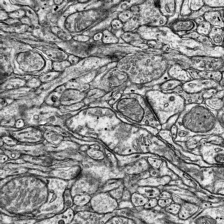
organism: Mouse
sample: Visual Cortex